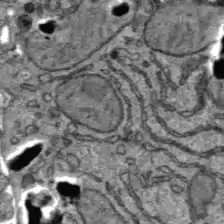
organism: C57BL Mouse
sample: Liver